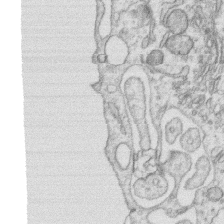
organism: Human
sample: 1205lu cells